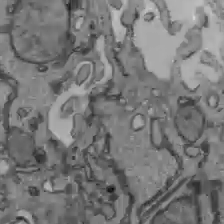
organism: C57BL Mouse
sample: Liver